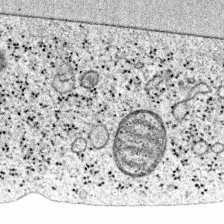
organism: Human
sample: HeLa cells